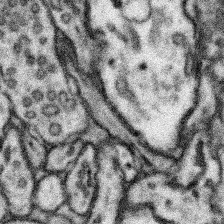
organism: Mouse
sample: Somatosensory cortex neuropil